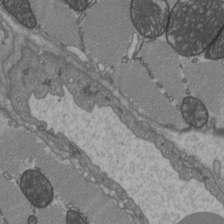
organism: C57BL Mouse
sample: Heart